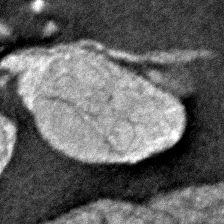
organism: Zebrafish